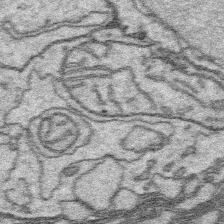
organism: Platynereis dumerilii